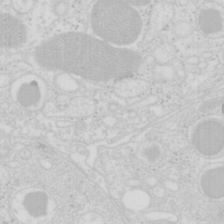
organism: Mouse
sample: Pancreas